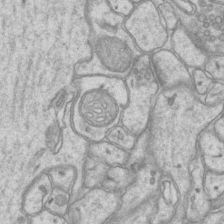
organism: Mouse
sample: CA1 Hippocampus